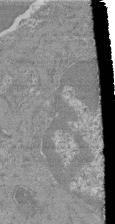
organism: Mouse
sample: Glomerulus